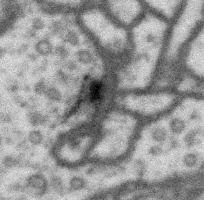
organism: Drosophila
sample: Protocerebral bridge